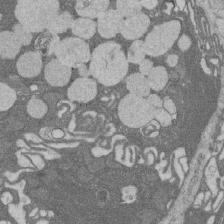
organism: Rat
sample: Salivary granule